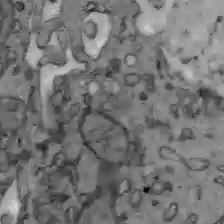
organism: C57BL Mouse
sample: Liver